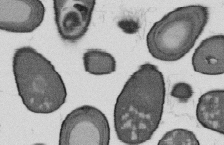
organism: B. subtilis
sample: Bacterial spore